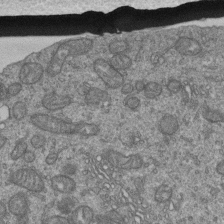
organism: Human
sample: Retinal organoid Rod and Cone cells